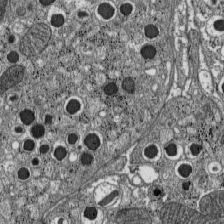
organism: C57BL Mouse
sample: Pancreatic islet